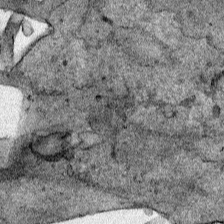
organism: Human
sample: Mitochondria in HCT116 cells